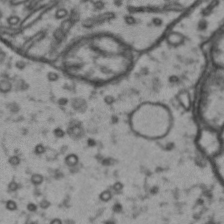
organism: Drosophila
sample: Brain